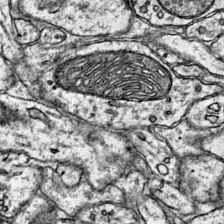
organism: Mouse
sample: Primary visual cortex